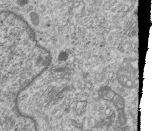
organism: Human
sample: MDA-MB-231 cells